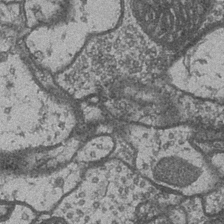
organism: Drosophila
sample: Optic medulla